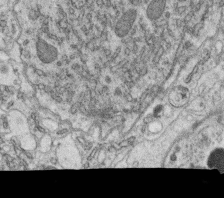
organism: C. elegans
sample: C. elegans oocyte; sperm cells